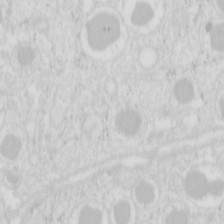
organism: Mouse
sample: Pancreas